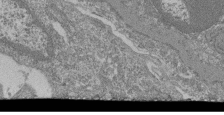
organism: Mouse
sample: Glomerulus